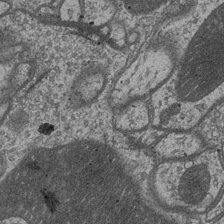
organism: Drosophila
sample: Optic medulla